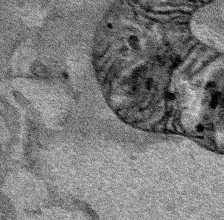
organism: Human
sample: Mitochondria in HCT116 cells